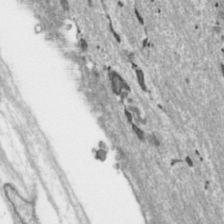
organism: Toxoplasma gondii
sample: Parasites in a vacuole inside a host cell